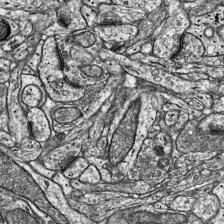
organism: Mouse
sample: Visual Cortex